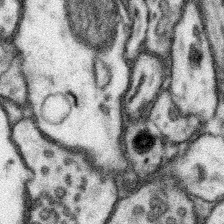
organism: Mouse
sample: Somatosensory cortex neuropil